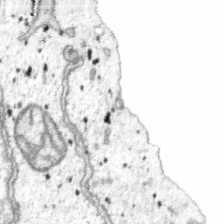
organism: Human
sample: HeLa cells